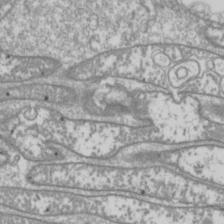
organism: Drosophila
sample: Cell division; meiosis; drosophila spermatocytes